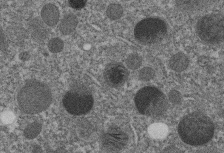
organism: C. elegans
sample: C. elegans embryo early stage